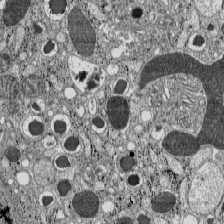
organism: C57BL Mouse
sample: Pancreatic islet